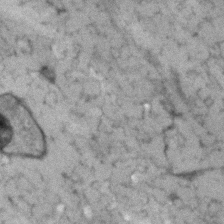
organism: Human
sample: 1205lu cells